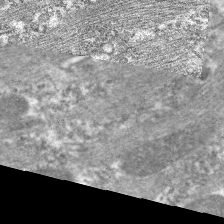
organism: C. elegans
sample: Pharynx